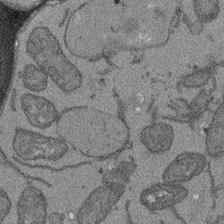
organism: Arabidopsis thaliana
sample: Root tip